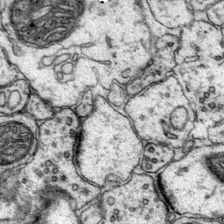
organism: Mouse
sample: Primary visual cortex